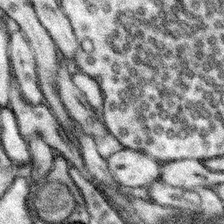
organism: Mouse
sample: Somatosensory cortex neuropil